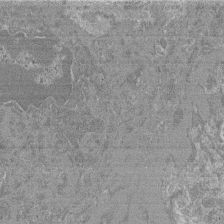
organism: Mouse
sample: Glomerulus